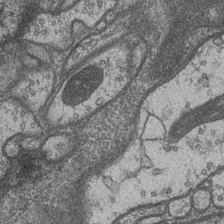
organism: Drosophila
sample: Optic medulla